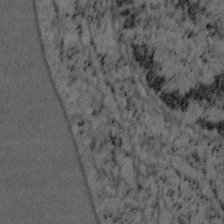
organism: Human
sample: HeLa cells